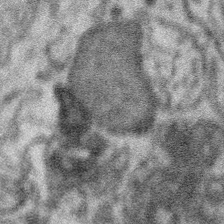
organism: Platynereis dumerilii